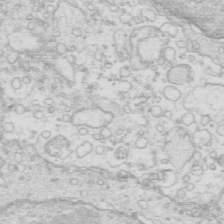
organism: Mouse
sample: Multiciliated cells